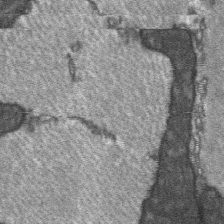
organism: C57BL Mouse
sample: Soleus